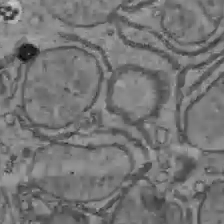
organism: C57BL Mouse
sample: Liver